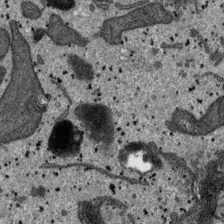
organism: Human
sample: Lung epithelial cells, uninfected (mock) control